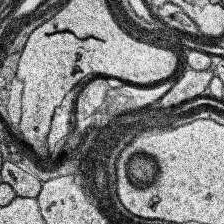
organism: Human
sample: Temporal Lobe